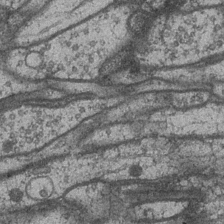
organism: Drosophila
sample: Optic medulla